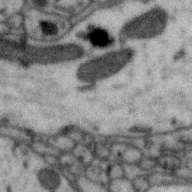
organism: Zebra finch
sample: Brain